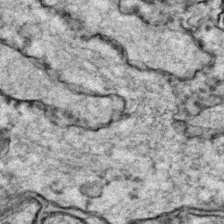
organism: Zebrafish